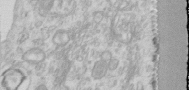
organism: Human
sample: Centriole in RPE cells